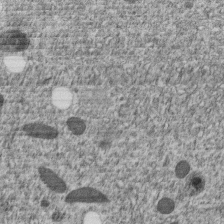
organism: C. elegans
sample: C. elegans embryo early stage